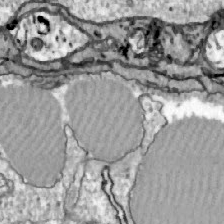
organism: Zebrafish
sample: Actinotrichia fibers